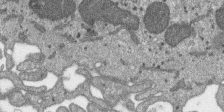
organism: Human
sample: Lung epithelial cells infected with SARS-CoV-2